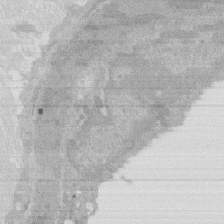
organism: Rat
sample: Salivary granule